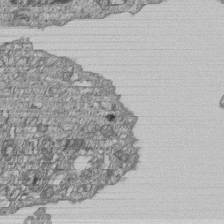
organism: Human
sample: MDA-MB-231 cells